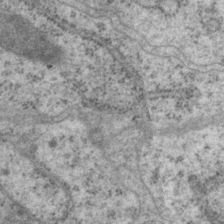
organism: P. pacificus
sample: Pharynx